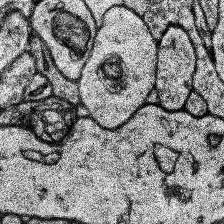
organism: Human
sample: Temporal Lobe